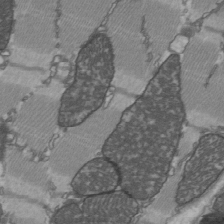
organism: C57BL Mouse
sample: Heart